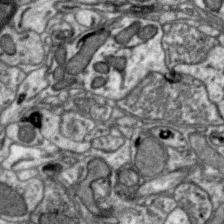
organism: Zebra finch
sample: Brain